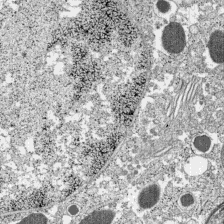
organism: C57BL Mouse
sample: Pancreatic islet